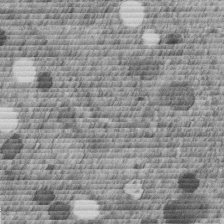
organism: C. elegans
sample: C. elegans embryo early stage